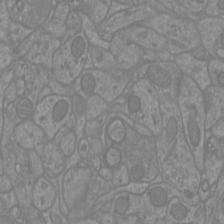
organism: Mouse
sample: Cortical neurons